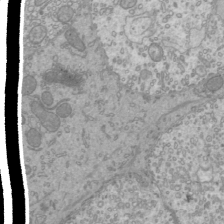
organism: Mouse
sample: Cilia; mouse epididymis